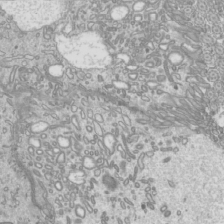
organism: Mouse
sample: Cilia; mouse epididymis